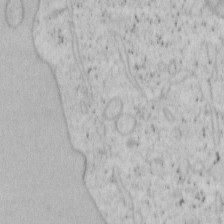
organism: Human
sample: HeLa cells